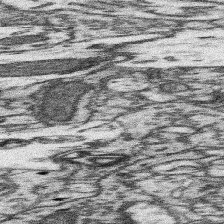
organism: Mouse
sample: Somatosensory cortex neuropil